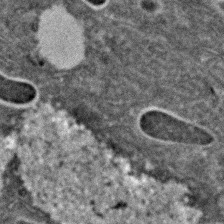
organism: C. elegans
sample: C. elegans embryo